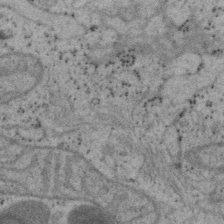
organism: Human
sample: HeLa cells